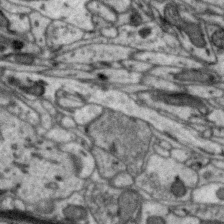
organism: Zebra finch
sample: Brain